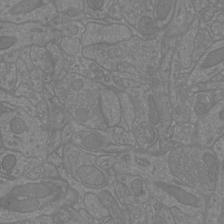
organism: Mouse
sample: Cortical neurons